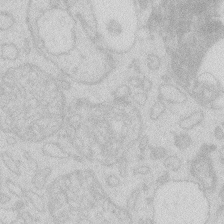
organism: Zebrafish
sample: Macrophage